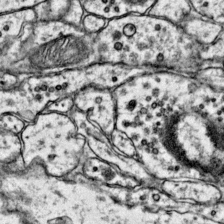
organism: Mouse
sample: Primary visual cortex